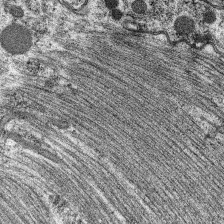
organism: C. elegans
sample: Pharynx